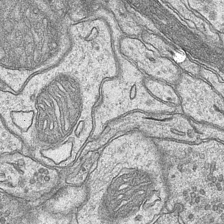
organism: Mouse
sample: CA1 Hippocampus